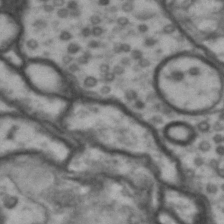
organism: Drosophila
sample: Brain